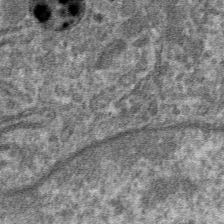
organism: Mouse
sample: Mouse hepatocytes